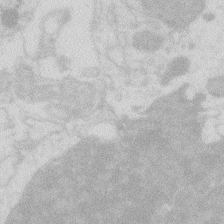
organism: Zebrafish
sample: Macrophage